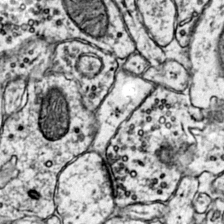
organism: Mouse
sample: Primary visual cortex